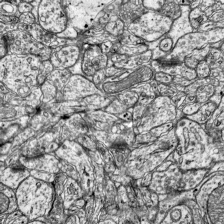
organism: Mouse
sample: Visual Cortex